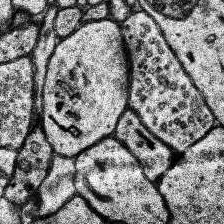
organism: Human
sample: Temporal Lobe